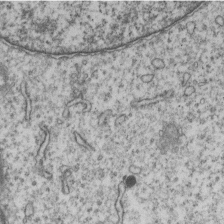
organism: Human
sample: MDA-MB-231 cells